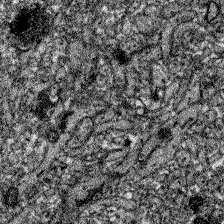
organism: Zebrafish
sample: Larval olfactory bulb